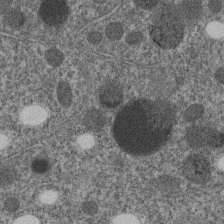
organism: C. elegans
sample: C. elegans embryo early stage